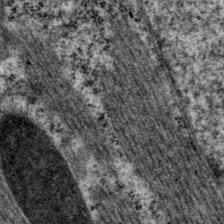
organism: P. pacificus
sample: Pharynx